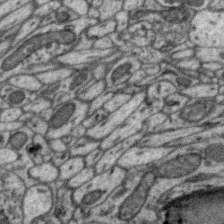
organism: Zebra finch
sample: Brain